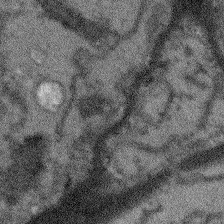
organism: Arabidopsis thaliana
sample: Root tip